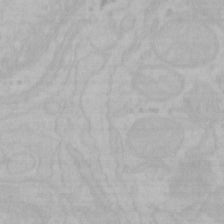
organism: Mouse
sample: Choroid plexus